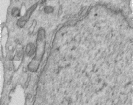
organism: Human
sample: Centriole in RPE cells